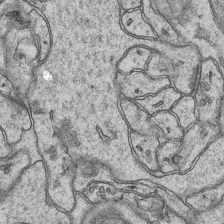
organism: Mouse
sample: CA1 Hippocampus